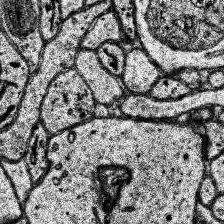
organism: Human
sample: Temporal Lobe